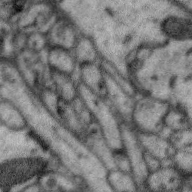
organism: Zebra finch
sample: Brain